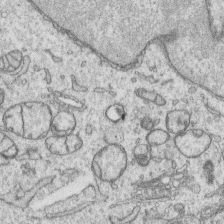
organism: Human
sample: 1205lu cells